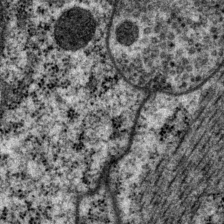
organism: P. pacificus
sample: Pharynx